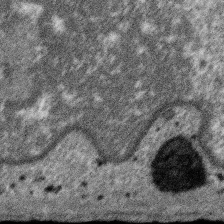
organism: Human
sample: Lung epithelial cells infected with SARS-CoV-2